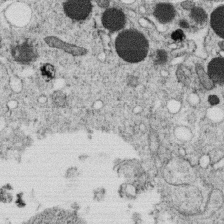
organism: C. elegans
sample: C. elegans oocyte; sperm cells